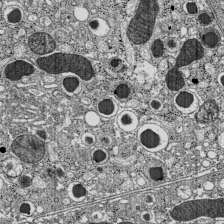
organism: C57BL Mouse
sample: Pancreatic islet